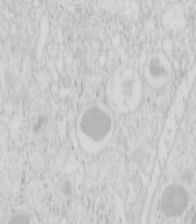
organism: Mouse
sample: Pancreas